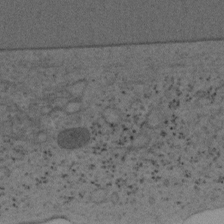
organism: Human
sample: HeLa cells